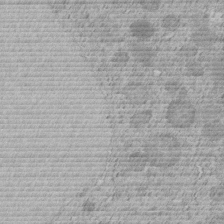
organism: C. elegans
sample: C. elegans embryo early stage